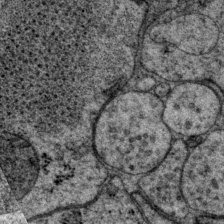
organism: P. pacificus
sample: Pharynx